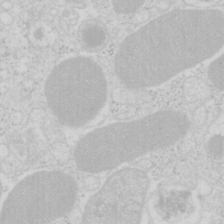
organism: Mouse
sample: Pancreas